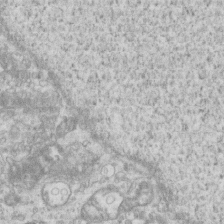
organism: Mouse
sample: Centriole in ependymal cells